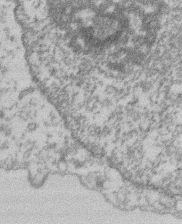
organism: Mouse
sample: T cell stromal cell synapse